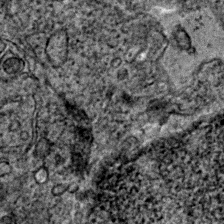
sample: Trachea